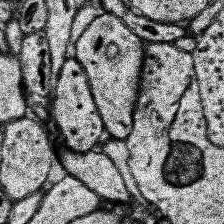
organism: Human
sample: Temporal Lobe